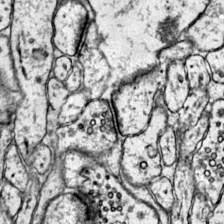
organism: Mouse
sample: Primary visual cortex